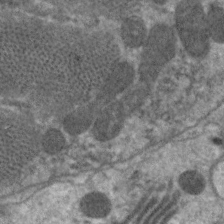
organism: C. elegans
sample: Pharynx